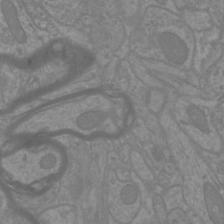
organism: Mouse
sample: Cortical neurons